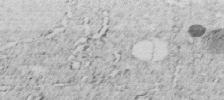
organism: C. elegans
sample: C. elegans embryo early stage